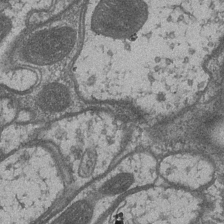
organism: Drosophila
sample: Optic medulla